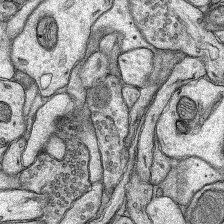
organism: Rat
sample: Hippocampus